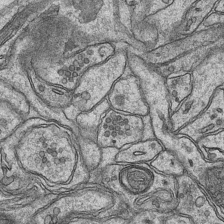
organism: Mouse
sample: CA1 Hippocampus